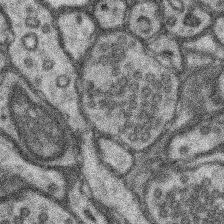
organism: Mouse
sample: Somatosensory cortex neuropil